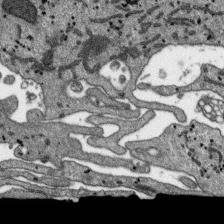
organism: Human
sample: Lung epithelial cells, uninfected (mock) control